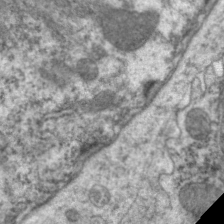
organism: C. elegans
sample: Pharynx